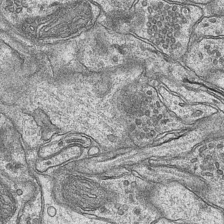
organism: Mouse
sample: CA1 Hippocampus